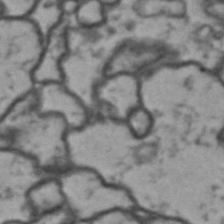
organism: Drosophila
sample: Brain